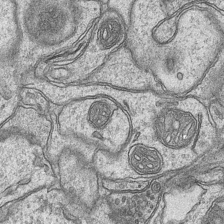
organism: Mouse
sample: CA1 Hippocampus